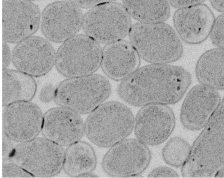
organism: E. coli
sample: Bacterial nucleoid